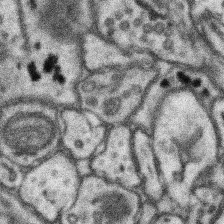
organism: Mouse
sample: Somatosensory cortex neuropil